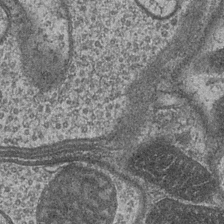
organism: Drosophila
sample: Optic medulla